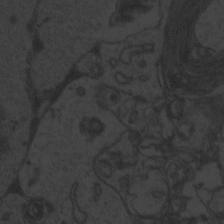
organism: Zebrafish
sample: Macrophage infected with Toxoplasma gondii